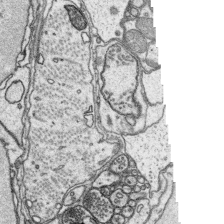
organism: Platynereis dumerilii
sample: Parapodia